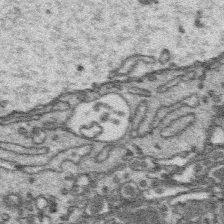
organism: Platynereis dumerilii